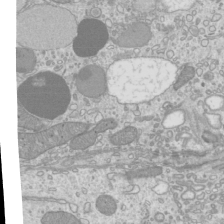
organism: Mouse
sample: Cilia; mouse epididymis